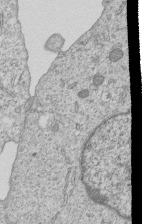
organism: Human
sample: MDA-MB-231 cells